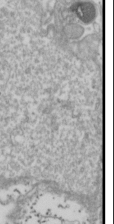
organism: Drosophila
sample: Cell division; meiosis; drosophila spermatocytes